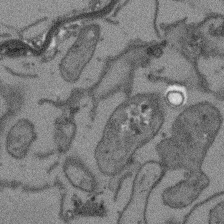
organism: Arabidopsis thaliana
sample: Root tip